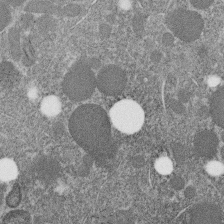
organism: C. elegans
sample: C. elegans embryo early stage